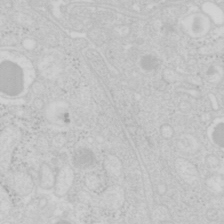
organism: Mouse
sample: Pancreas